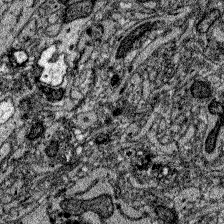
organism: Zebrafish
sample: Larval olfactory bulb